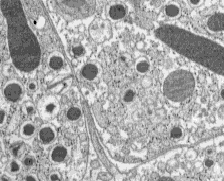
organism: C57BL Mouse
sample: Pancreatic islet